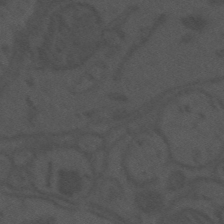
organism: Mouse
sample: Suprachiasmatic nucleus